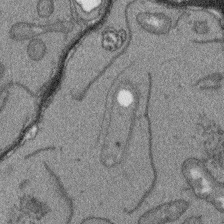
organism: Arabidopsis thaliana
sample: Root tip